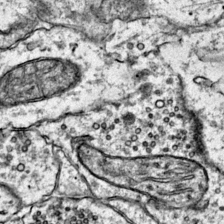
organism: Mouse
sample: Primary visual cortex